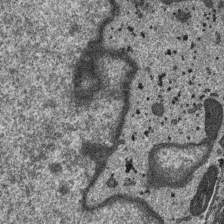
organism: Human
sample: Lung epithelial cells infected with SARS-CoV-2